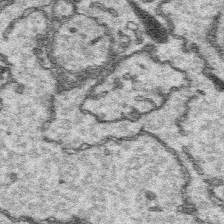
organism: Platynereis dumerilii